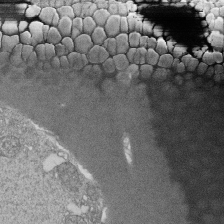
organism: Tetrahymena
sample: Cilia in tetrahymena